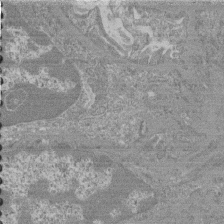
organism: Mouse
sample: Glomerulus